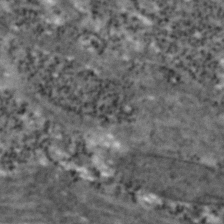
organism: Zebrafish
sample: Zebrafish embryo